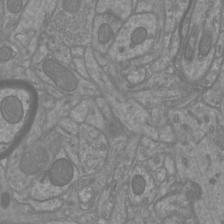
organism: Mouse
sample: Cortical neurons